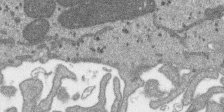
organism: Human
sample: Lung epithelial cells infected with SARS-CoV-2